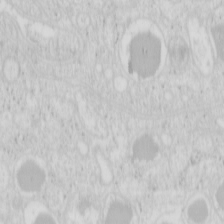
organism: Mouse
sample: Pancreas